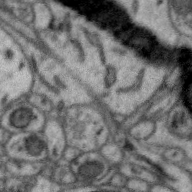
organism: Zebra finch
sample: Brain